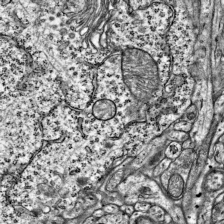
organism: Mouse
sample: Visual Cortex